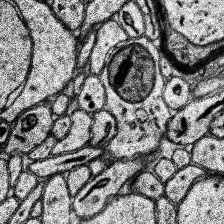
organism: Human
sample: Temporal Lobe